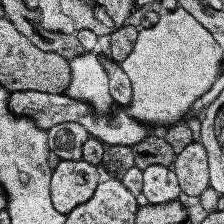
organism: Human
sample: Temporal Lobe